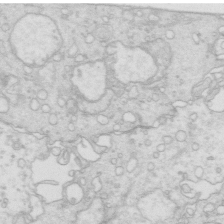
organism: Mouse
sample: Multiciliated cells